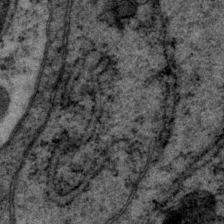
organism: P. pacificus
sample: Pharynx